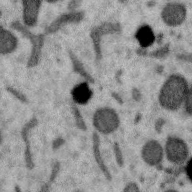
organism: Zebra finch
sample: Brain